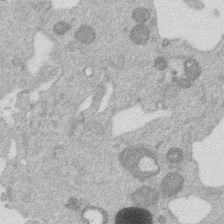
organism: Mouse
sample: Dividing mouse embryo 1 cell stage